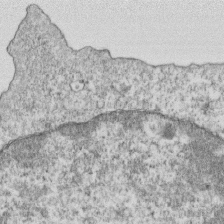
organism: Mouse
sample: Activated OT-1 CD8+ T cells